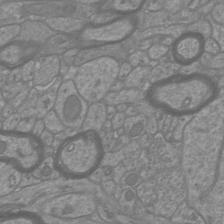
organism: Mouse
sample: Cortical neurons